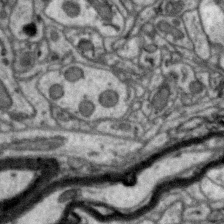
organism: Zebra finch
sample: Brain